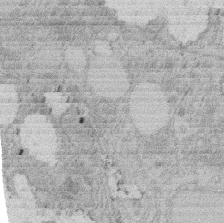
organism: Rat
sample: Salivary granule